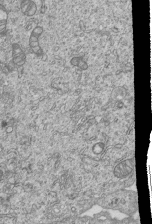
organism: Human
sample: MDA-MB-231 cells